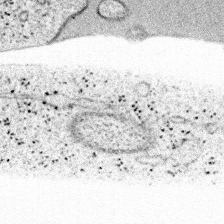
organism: Human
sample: HeLa cells